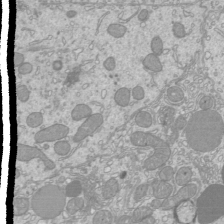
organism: Mouse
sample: Cilia; mouse epididymis